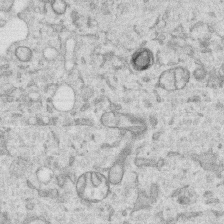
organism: Human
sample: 1205lu cells